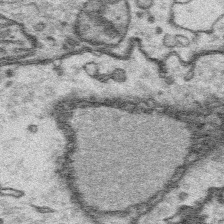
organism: Platynereis dumerilii